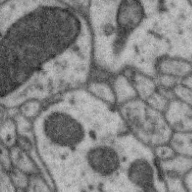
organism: Zebra finch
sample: Brain